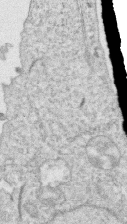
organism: Human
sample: HeLa cell HIV synapse